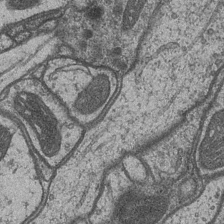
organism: Drosophila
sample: Optic medulla